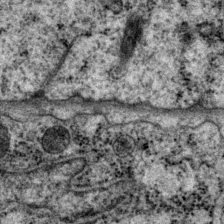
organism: P. pacificus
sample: Pharynx